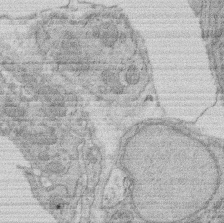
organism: Rat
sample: Salivary granule